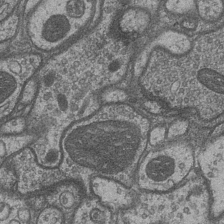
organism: Drosophila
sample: Optic medulla